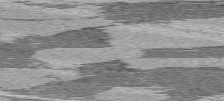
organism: C57BL Mouse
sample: Heart